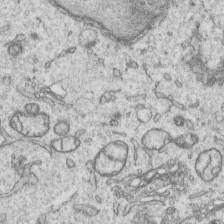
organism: Human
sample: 1205lu cells